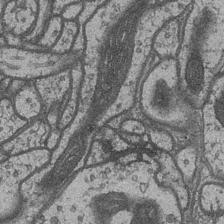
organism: Drosophila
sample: Optic medulla